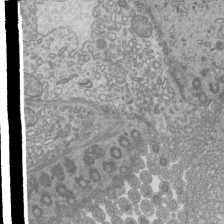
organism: Mouse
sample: Cilia; mouse epididymis